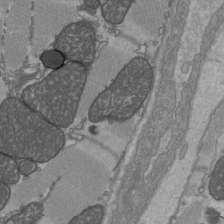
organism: C57BL Mouse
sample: Heart